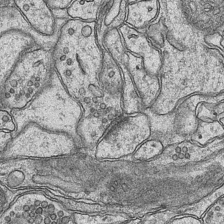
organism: Mouse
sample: CA1 Hippocampus